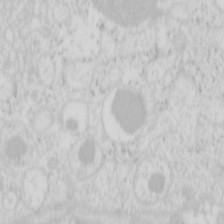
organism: Mouse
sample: Pancreas